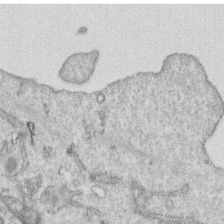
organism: Human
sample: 1205lu cells